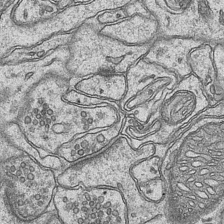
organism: Mouse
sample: CA1 Hippocampus